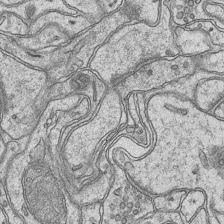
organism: Mouse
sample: CA1 Hippocampus